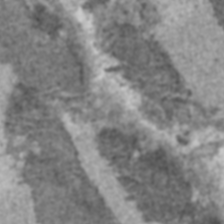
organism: C57BL Mouse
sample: Heart